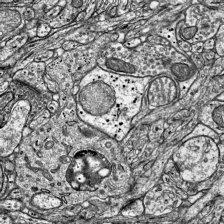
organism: Mouse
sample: Visual Cortex